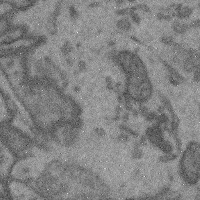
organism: Mouse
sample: Cerebral cortex